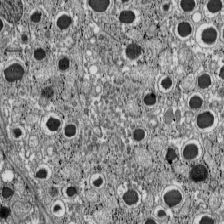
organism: C57BL Mouse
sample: Pancreatic islet